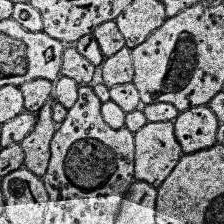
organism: Human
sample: Temporal Lobe